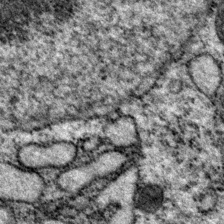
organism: P. pacificus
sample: Pharynx